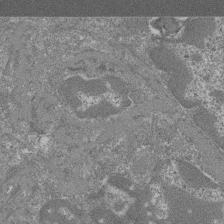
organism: Mouse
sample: Glomerulus